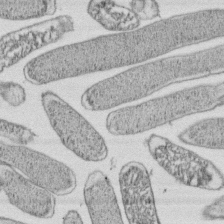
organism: E. coli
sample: Bacterial nucleoid